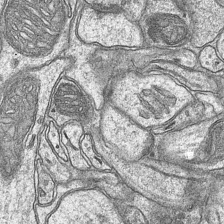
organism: Mouse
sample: CA1 Hippocampus